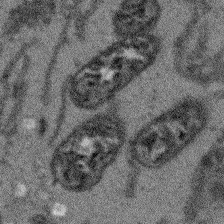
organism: Arabidopsis thaliana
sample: Root tip